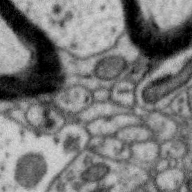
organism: Zebra finch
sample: Brain